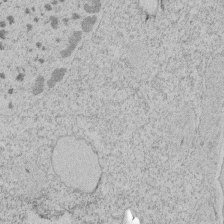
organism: Tetrahymena